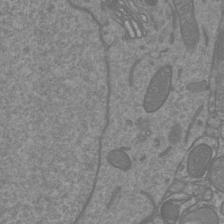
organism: Mouse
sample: Cortical neurons